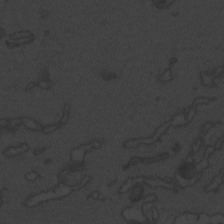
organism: Zebrafish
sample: Macrophage infected with Toxoplasma gondii